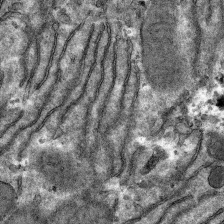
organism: Mouse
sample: Mouse hepatocytes